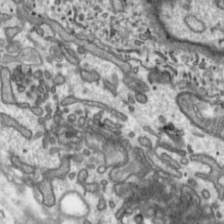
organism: Toxoplasma gondii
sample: Parasites in a vacuole inside a host cell